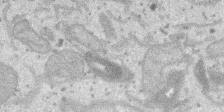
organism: Human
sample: Lung epithelial cells infected with SARS-CoV-2